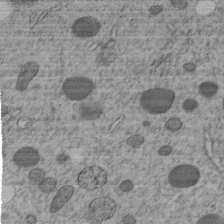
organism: C. elegans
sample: C. elegans embryo early stage